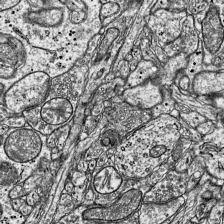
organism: Mouse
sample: Visual Cortex